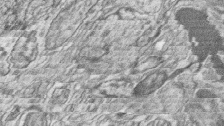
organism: Zebrafish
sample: synaptic ribbons in rod cells and cone cells